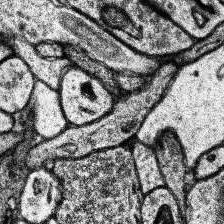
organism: Human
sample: Temporal Lobe